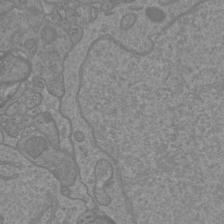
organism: Mouse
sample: Cortical neurons